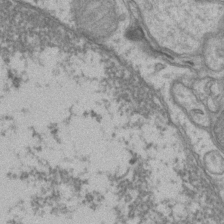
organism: Mouse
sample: CA1 Hippocampus